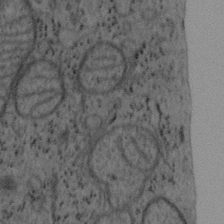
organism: Human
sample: HeLa cells